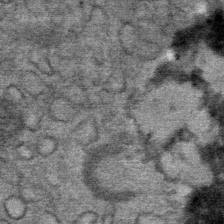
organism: Mouse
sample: Mouse Salivary gland